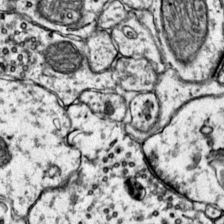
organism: Mouse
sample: Primary visual cortex